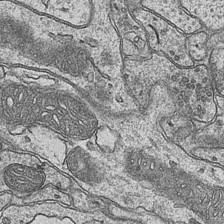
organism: Mouse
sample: CA1 Hippocampus